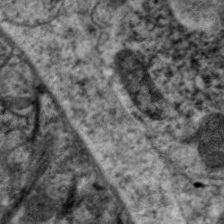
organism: C. elegans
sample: Pharynx